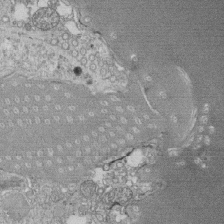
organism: Tetrahymena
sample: Cilia in tetrahymena